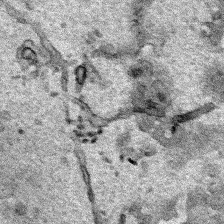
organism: Human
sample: Mitochondria in HCT116 cells